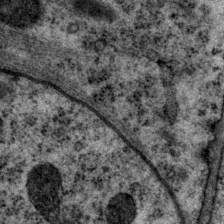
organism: P. pacificus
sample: Pharynx